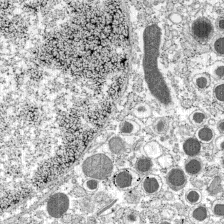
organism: C57BL Mouse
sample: Pancreatic islet